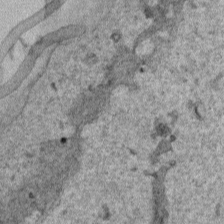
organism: Human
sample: Mitochondria in HCT116 cells